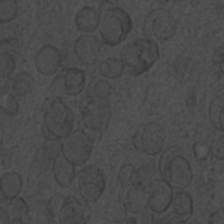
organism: C. elegans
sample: C. elegans embryo